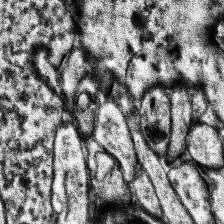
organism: Human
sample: Temporal Lobe